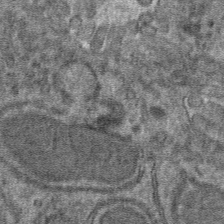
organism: Mouse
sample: Mouse hepatocytes